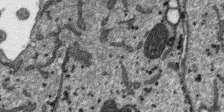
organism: Human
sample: Lung epithelial cells infected with SARS-CoV-2